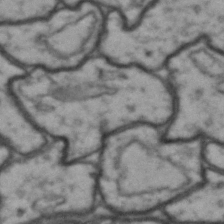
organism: Drosophila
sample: Brain